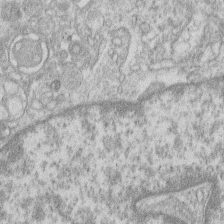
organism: Human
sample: Macrophage cells